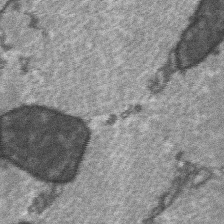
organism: C57BL Mouse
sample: Soleus